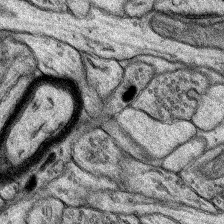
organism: Rat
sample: Hippocampus